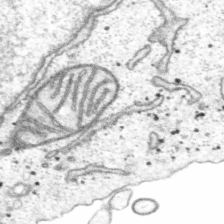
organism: Human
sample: HeLa cells